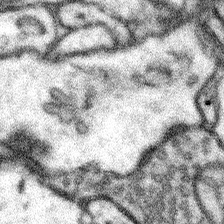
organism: Mouse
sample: Somatosensory cortex neuropil